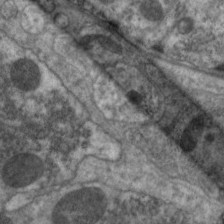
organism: C. elegans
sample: Pharynx